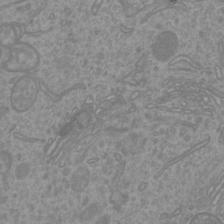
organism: Mouse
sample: Cortical neurons